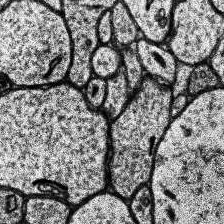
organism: Human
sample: Temporal Lobe